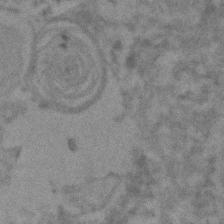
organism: Human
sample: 1205lu cells